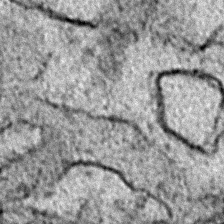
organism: Zebrafish